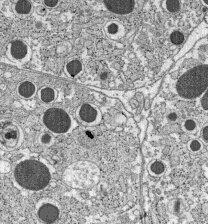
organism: C57BL Mouse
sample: Pancreatic islet